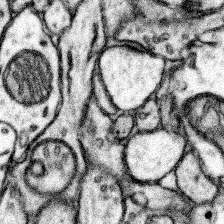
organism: Mouse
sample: Somatosensory cortex neuropil